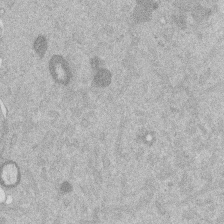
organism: Mouse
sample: Dividing mouse embryo 1 cell stage